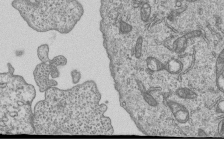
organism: Human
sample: MDA-MB-231 cells